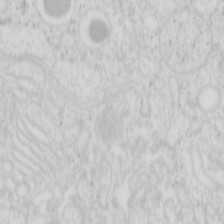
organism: Mouse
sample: Pancreas